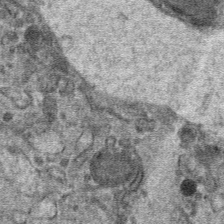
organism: Mouse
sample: Mouse hepatocytes